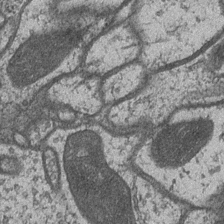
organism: Drosophila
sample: Optic medulla